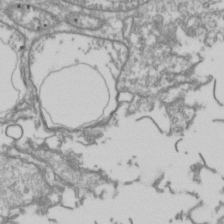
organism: Drosophila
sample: Cell division; meiosis; drosophila spermatocytes